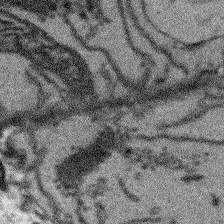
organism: Arabidopsis thaliana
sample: Root tip